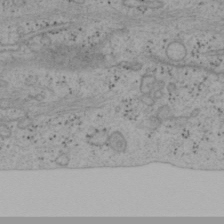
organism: Human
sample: HeLa cells